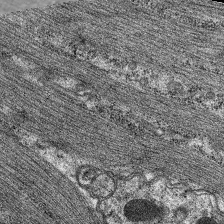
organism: C. elegans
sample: Pharynx